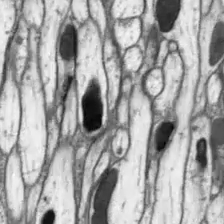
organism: Drosophila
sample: Optic lobe